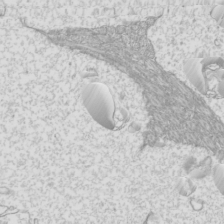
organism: Mouse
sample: Cilia; mouse epididymis